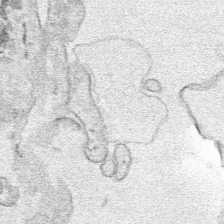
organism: Human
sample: Mitochondria in HCT116 cells